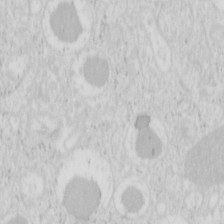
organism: Mouse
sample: Pancreas